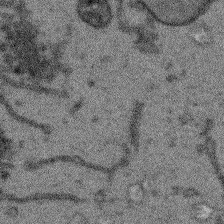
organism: Arabidopsis thaliana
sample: Root tip